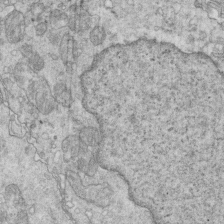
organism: Mouse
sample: Multiciliated cells